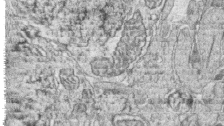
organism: Zebrafish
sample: synaptic ribbons in rod cells and cone cells